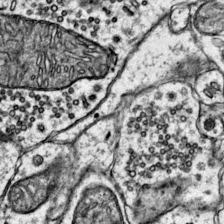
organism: Mouse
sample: Primary visual cortex